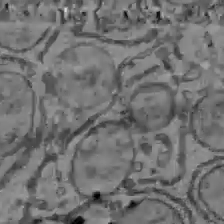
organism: C57BL Mouse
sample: Liver